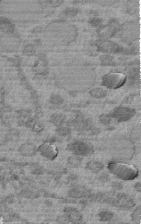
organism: C. elegans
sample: C. elegans embryo early stage